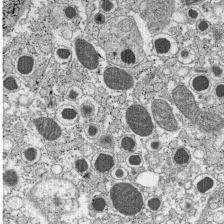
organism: C57BL Mouse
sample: Pancreatic islet